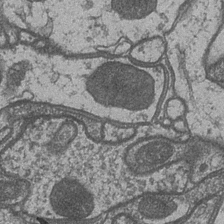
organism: Drosophila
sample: Optic medulla